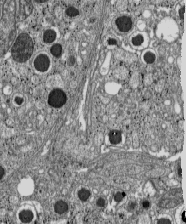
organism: C57BL Mouse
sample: Pancreatic islet